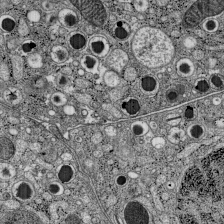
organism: C57BL Mouse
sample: Pancreatic islet